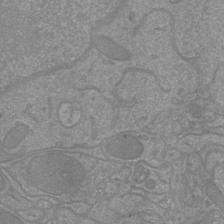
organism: Mouse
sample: Cortical neurons